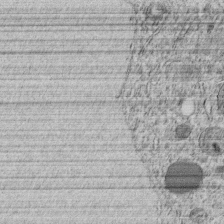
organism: C. elegans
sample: C. elegans embryo early stage